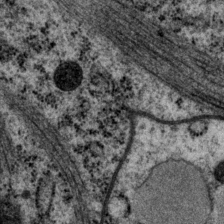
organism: P. pacificus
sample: Pharynx